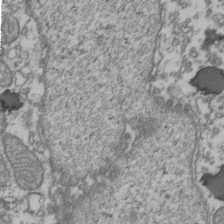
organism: Human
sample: Activated Jurkat CD4+ T cells